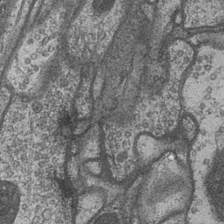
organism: Drosophila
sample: Optic medulla